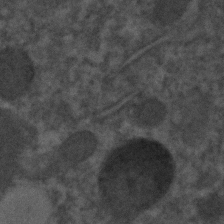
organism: C. elegans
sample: C. elegans embryo